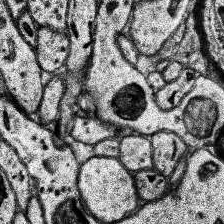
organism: Human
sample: Temporal Lobe